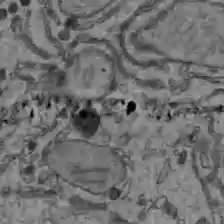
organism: C57BL Mouse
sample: Liver